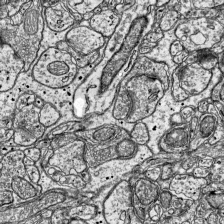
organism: Mouse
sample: Visual Cortex